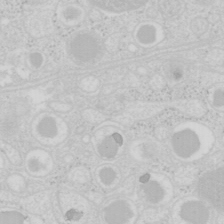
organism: Mouse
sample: Pancreas